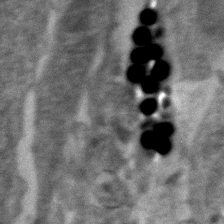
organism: Zebrafish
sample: Zebrafish embryo